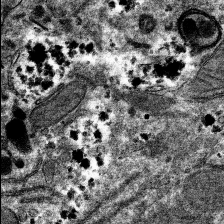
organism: Mouse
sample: Mouse hepatocytes